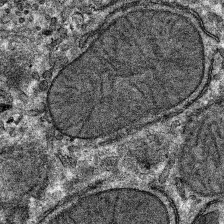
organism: Mouse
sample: Mouse hepatocytes